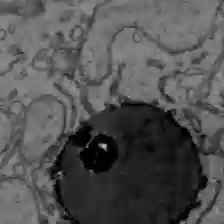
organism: C57BL Mouse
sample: Liver